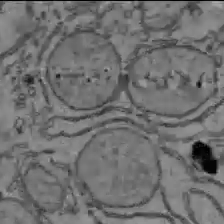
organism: C57BL Mouse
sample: Liver